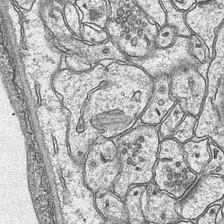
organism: Mouse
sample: CA1 Hippocampus